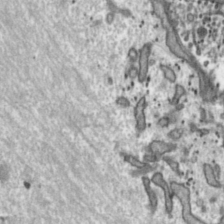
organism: Toxoplasma gondii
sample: Parasites in a vacuole inside a host cell